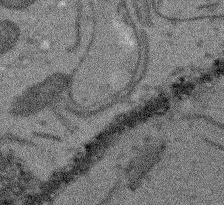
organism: Arabidopsis thaliana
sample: Root tip